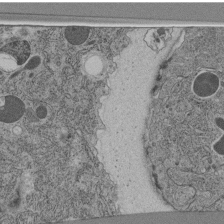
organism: C. elegans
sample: C. elegans pharynx